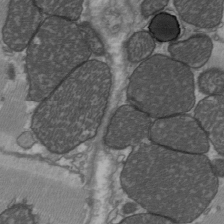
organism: C57BL Mouse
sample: Heart